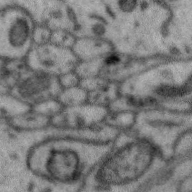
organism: Zebra finch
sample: Brain